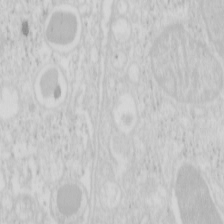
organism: Mouse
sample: Pancreas